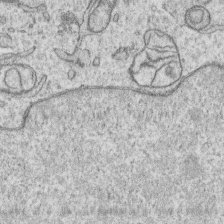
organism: Human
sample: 1205lu cells